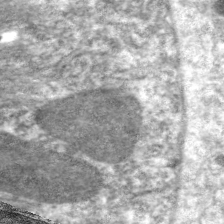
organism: C. elegans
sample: Pharynx